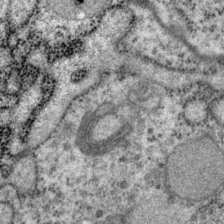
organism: P. pacificus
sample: Pharynx